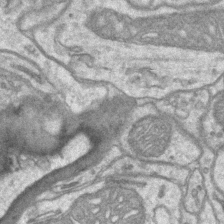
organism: Mouse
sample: CA1 Hippocampus